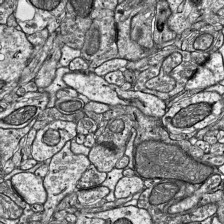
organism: Mouse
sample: Visual Cortex